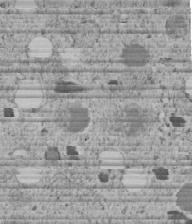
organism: C. elegans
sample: C. elegans embryo early stage